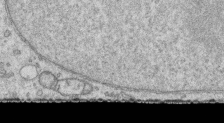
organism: Human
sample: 1205lu cells